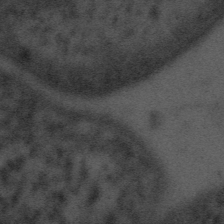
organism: Tuwongella immobilis